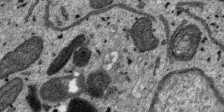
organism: Human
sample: Lung epithelial cells, uninfected (mock) control